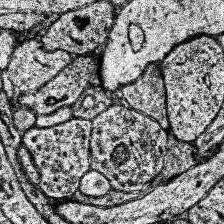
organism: Human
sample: Temporal Lobe